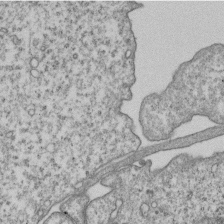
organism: Human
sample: MDA-MB-231 cells